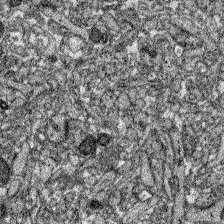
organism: Zebrafish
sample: Larval olfactory bulb